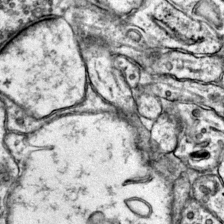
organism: Mouse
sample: Primary visual cortex